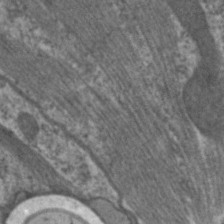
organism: C. elegans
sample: Pharynx